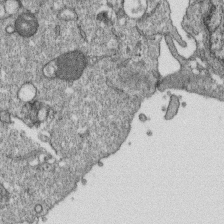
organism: African green monkey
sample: Vero E6 cells infected with SARS-CoV-2